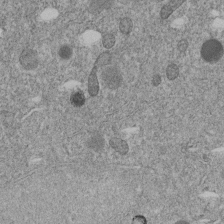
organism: C. elegans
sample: C. elegans embryo early stage